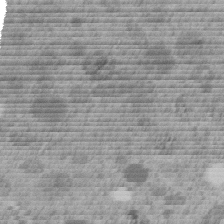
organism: C. elegans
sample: C. elegans embryo early stage